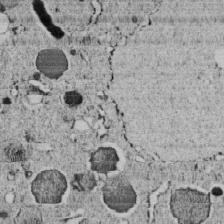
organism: C. elegans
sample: C. elegans embryo early stage